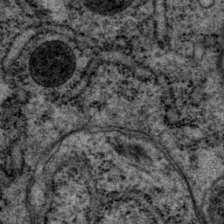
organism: P. pacificus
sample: Pharynx